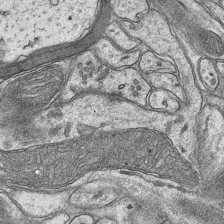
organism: Mouse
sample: CA1 Hippocampus